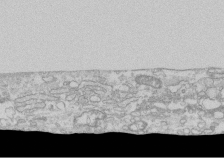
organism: Human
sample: CRL-1474